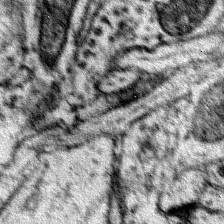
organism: Mouse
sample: Primary visual cortex